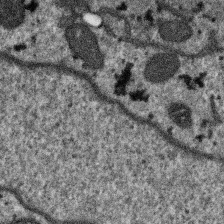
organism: Human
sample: Lung epithelial cells infected with SARS-CoV-2